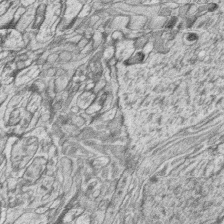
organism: Zebrafish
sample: synaptic ribbons in rod cells and cone cells